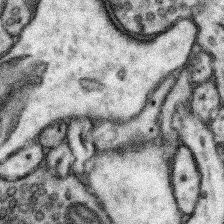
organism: Mouse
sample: Somatosensory cortex neuropil